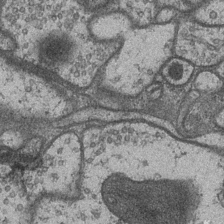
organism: Drosophila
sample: Optic medulla